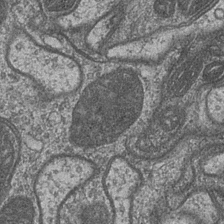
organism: Drosophila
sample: Optic medulla